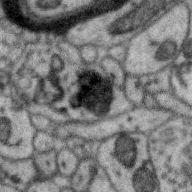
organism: Zebra finch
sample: Brain